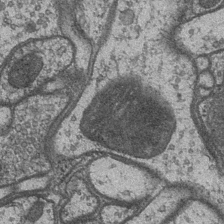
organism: Drosophila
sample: Optic medulla